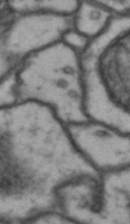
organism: Drosophila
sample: Brain